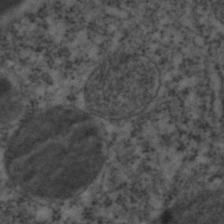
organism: C. elegans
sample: C. elegans embryo